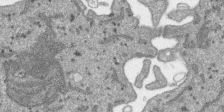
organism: Human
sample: Lung epithelial cells infected with SARS-CoV-2